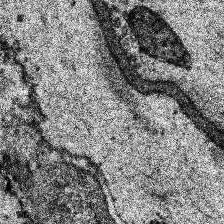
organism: Human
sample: Temporal Lobe